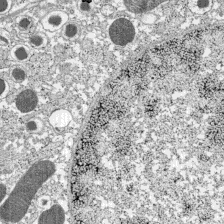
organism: C57BL Mouse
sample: Pancreatic islet